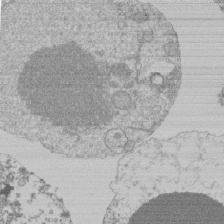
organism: Mouse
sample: Activated Pmel transgenic CD8+ T Cells